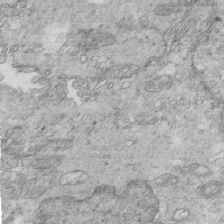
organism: Mouse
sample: Multiciliated cells